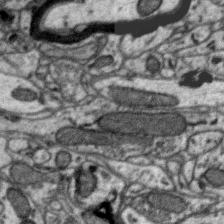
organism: Zebra finch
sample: Brain